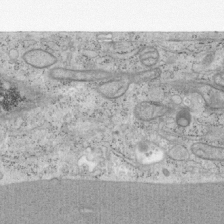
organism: Human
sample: HeLa cells